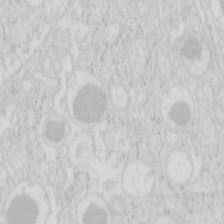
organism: Mouse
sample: Pancreas